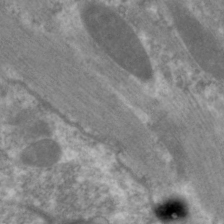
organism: C. elegans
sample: Pharynx